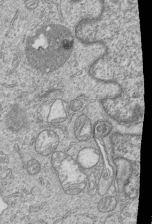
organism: Human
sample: MDA-MB-231 cells